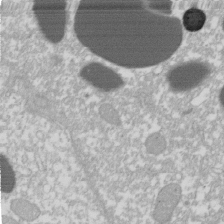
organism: Xenopus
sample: Cilia; centrioles in frog embryo cells